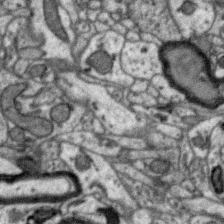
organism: Zebra finch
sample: Brain